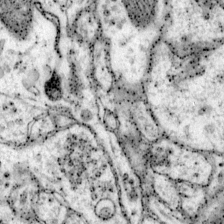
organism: Mouse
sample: Primary visual cortex